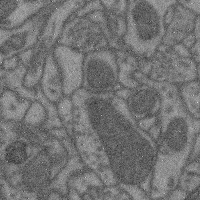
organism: Mouse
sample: Cerebral cortex